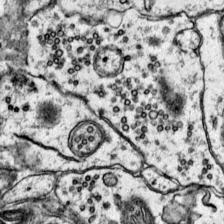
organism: Mouse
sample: Primary visual cortex